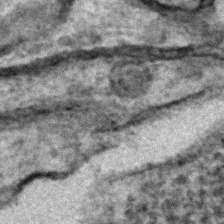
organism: C. elegans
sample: C. elegans embryo